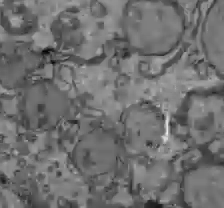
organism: C57BL Mouse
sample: Liver